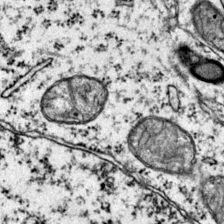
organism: Mouse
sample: Primary visual cortex